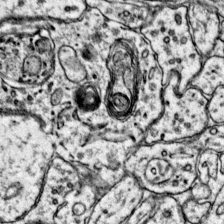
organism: Mouse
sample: Primary visual cortex